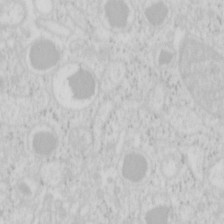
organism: Mouse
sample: Pancreas